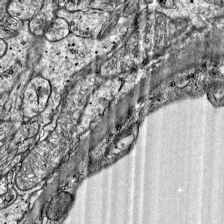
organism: Mouse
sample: Visual Cortex